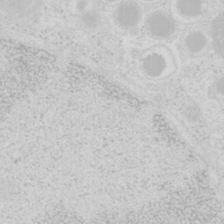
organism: Mouse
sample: Pancreas